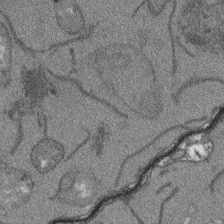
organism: Arabidopsis thaliana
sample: Root tip